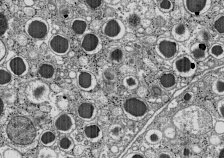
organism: C57BL Mouse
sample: Pancreatic islet